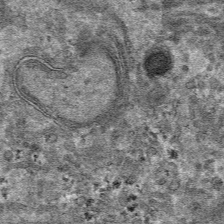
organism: Mouse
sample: Mouse hepatocytes